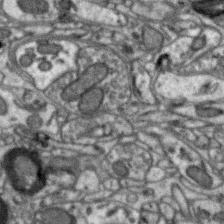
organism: Zebra finch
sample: Brain